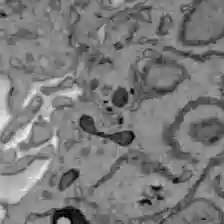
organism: C57BL Mouse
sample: Liver